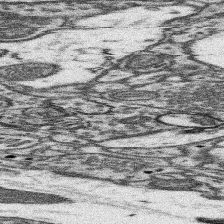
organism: Mouse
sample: Somatosensory cortex neuropil